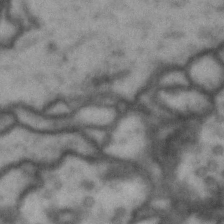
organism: Drosophila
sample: Brain